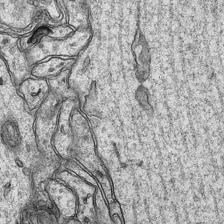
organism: Mouse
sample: CA1 Hippocampus